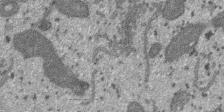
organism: Human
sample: Lung epithelial cells infected with SARS-CoV-2